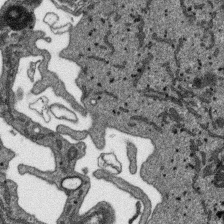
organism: Human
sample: Lung epithelial cells infected with SARS-CoV-2